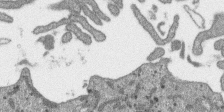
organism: Human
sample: Lung epithelial cells infected with SARS-CoV-2